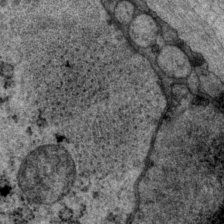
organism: P. pacificus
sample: Pharynx